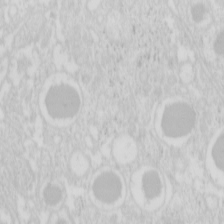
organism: Mouse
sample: Pancreas